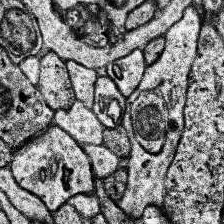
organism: Human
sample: Temporal Lobe